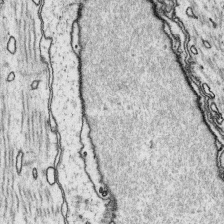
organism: Platynereis dumerilii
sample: Parapodia